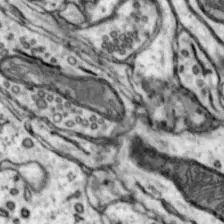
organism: Mouse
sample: Nucleus accumbens